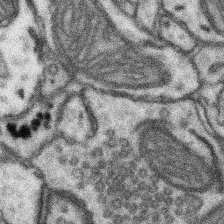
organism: Mouse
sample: Somatosensory cortex neuropil